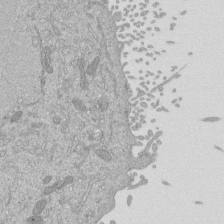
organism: Mouse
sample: ED-1 cell nuclei; centrioles